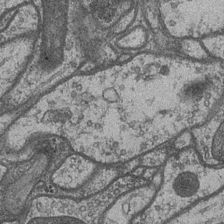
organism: Drosophila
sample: Optic medulla